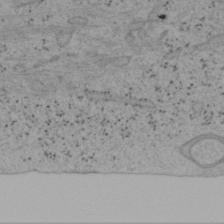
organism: Human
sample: HeLa cells